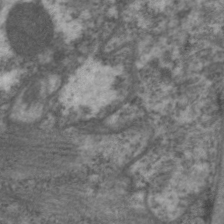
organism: C. elegans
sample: Pharynx